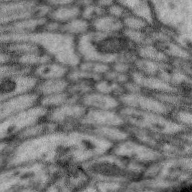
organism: Zebra finch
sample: Brain